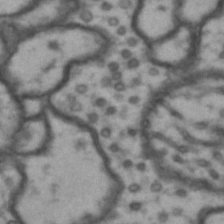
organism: Drosophila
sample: Brain